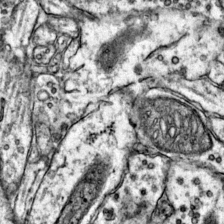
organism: Mouse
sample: Primary visual cortex